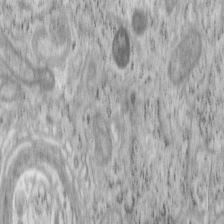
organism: Human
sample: HeLa cells